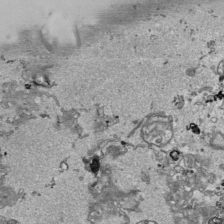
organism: Human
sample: Mitochondria in HCT116 cells